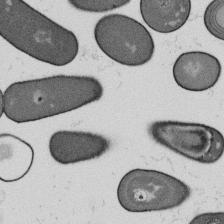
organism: B. subtilis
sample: Bacterial spore